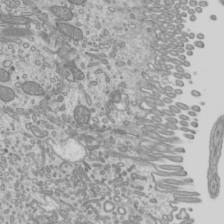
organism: Mouse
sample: Cilia; mouse epididymis